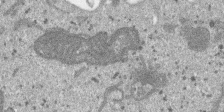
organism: Human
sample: Lung epithelial cells infected with SARS-CoV-2